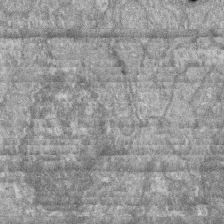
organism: Zebrafish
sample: Cilia; retinal pigment epithelium